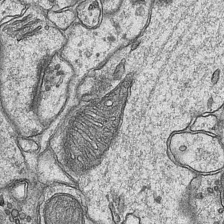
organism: Mouse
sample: CA1 Hippocampus